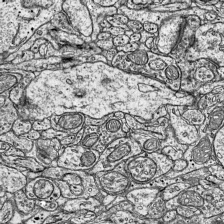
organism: Mouse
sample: Visual Cortex